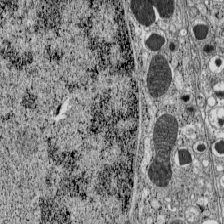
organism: C57BL Mouse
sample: Pancreatic islet